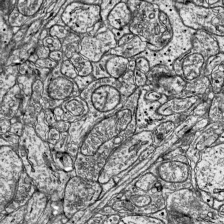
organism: Mouse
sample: Visual Cortex